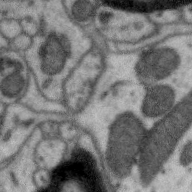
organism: Zebra finch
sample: Brain